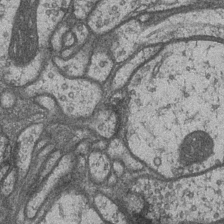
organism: Drosophila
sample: Optic medulla